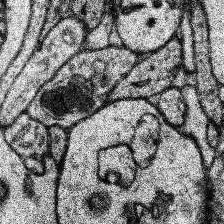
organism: Human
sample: Temporal Lobe